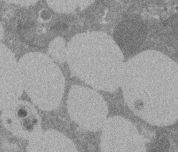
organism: Rat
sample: Salivary granule